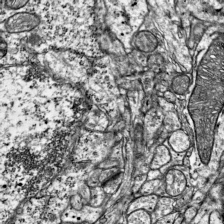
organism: Mouse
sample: Visual Cortex